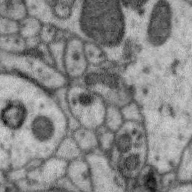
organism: Zebra finch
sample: Brain